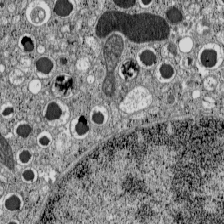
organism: C57BL Mouse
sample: Pancreatic islet